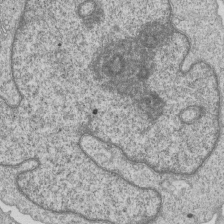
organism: Human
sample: MDA-MB-231 cells